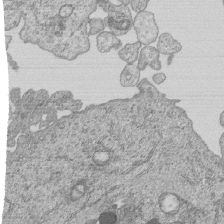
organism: Human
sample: MDA-MB-231 cells